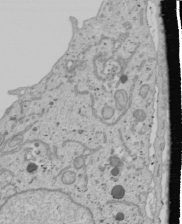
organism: Human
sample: Mitochondria in U2OS cells